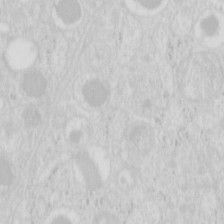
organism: Mouse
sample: Pancreas